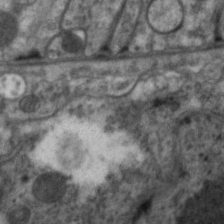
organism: C. elegans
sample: Pharynx